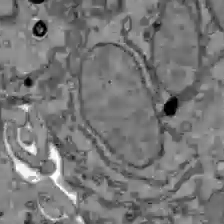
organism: C57BL Mouse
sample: Liver